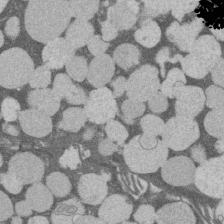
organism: Rat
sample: Salivary granule